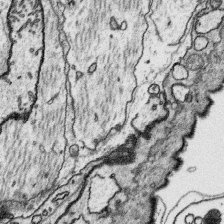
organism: Platynereis dumerilii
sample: Parapodia